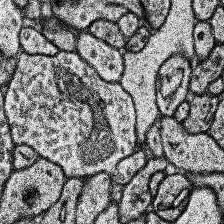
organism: Human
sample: Temporal Lobe